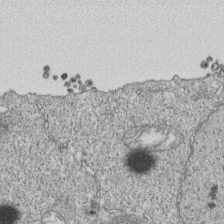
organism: Human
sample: HeLa cell HIV synapse